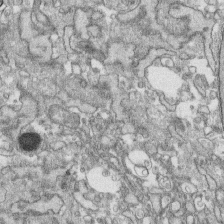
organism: Human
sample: CRL-1474